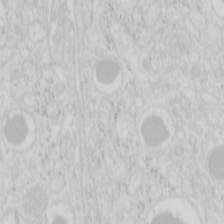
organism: Mouse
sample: Pancreas